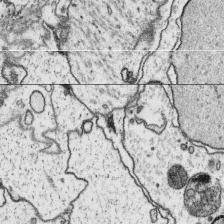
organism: Platynereis dumerilii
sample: Parapodia